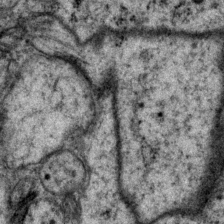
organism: P. pacificus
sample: Pharynx